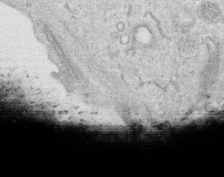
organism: Human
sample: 1205lu cells